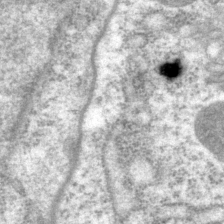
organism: P. pacificus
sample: Pharynx